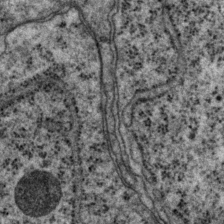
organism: P. pacificus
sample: Pharynx